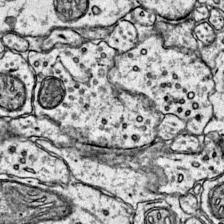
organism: Mouse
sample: Primary visual cortex